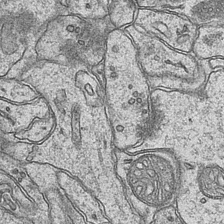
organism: Mouse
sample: CA1 Hippocampus